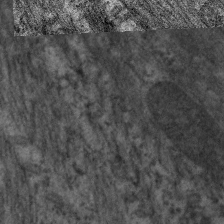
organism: C. elegans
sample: Pharynx